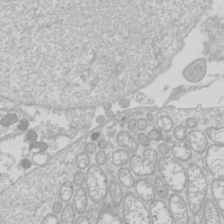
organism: Drosophila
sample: Cell division; meiosis; drosophila spermatocytes